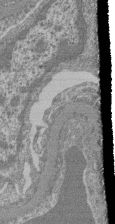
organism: Mouse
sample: Glomerulus